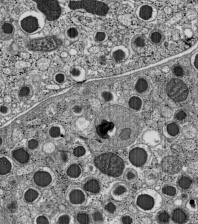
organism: C57BL Mouse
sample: Pancreatic islet